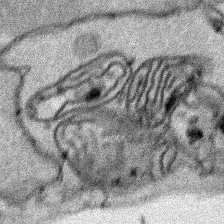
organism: Human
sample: Mitochondria in HCT116 cells